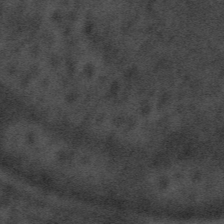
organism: Tuwongella immobilis